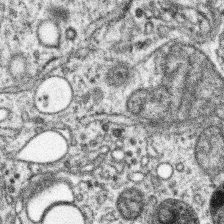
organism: Human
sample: HeLa cells